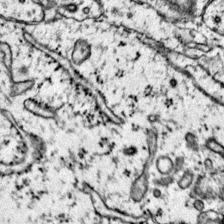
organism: Mouse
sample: Primary visual cortex